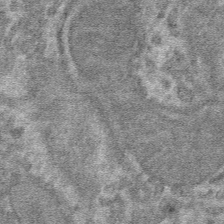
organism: Mouse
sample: Mouse hepatocytes